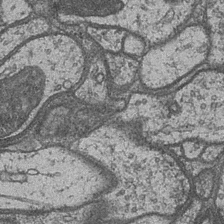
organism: Drosophila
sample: Optic medulla